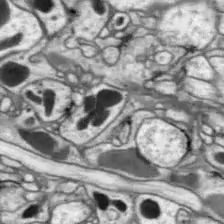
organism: Drosophila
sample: Optic lobe